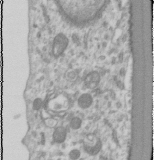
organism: Human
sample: Cilia; basal body in RPE cells